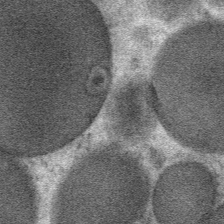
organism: Mouse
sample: Mouse Salivary gland